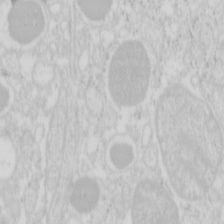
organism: Mouse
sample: Pancreas